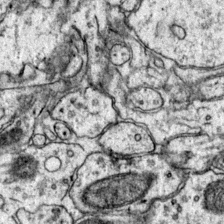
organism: Mouse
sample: Primary visual cortex